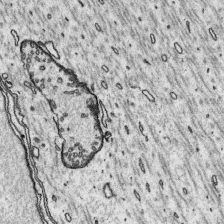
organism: Platynereis dumerilii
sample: Parapodia